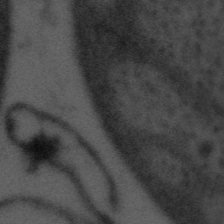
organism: Tuwongella immobilis